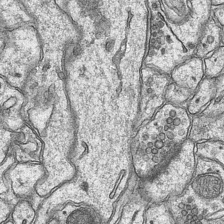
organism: Mouse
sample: CA1 Hippocampus